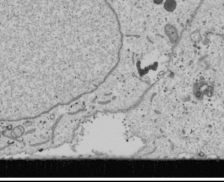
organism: Human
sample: Mitochondria in U2OS cells